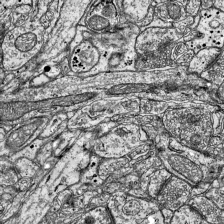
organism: Mouse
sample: Visual Cortex